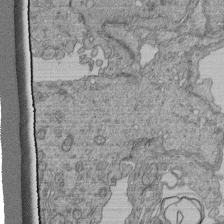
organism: Human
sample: Retinal organoid Rod and Cone cells